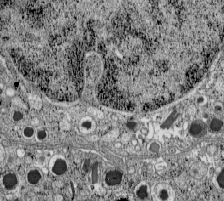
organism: C57BL Mouse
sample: Pancreatic islet